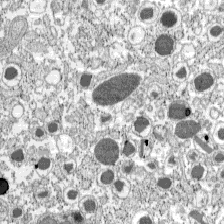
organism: C57BL Mouse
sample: Pancreatic islet